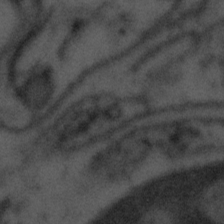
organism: Tuwongella immobilis